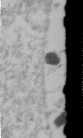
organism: Human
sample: U2-OS cells